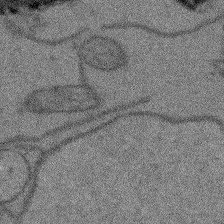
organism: Arabidopsis thaliana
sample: Root tip